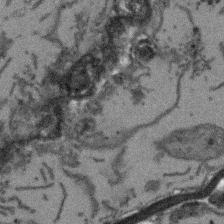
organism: Arabidopsis thaliana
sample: Root tip